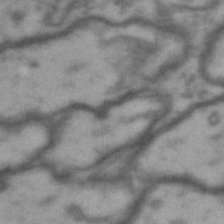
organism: Drosophila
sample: Brain